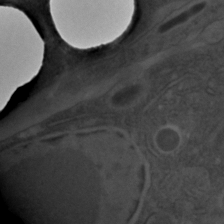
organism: C. elegans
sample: C. elegans embryo